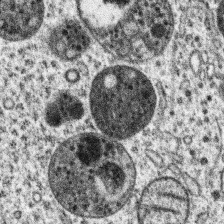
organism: Human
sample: HeLa cells